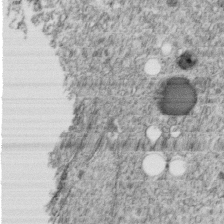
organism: C. elegans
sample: C. elegans embryo early stage